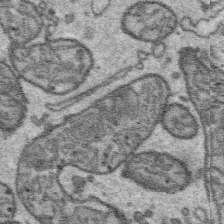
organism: Platynereis dumerilii